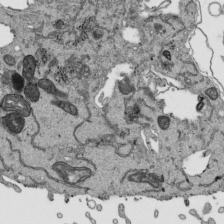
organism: Human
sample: Mitochondria in HCT116 cells